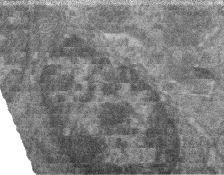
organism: Zebrafish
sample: Cilia; retinal pigment epithelium